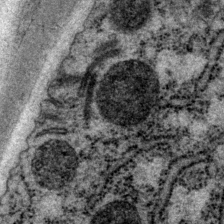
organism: P. pacificus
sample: Pharynx